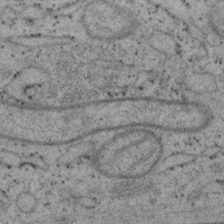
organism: Human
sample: HeLa cells